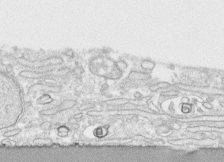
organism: Human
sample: CRL-1474